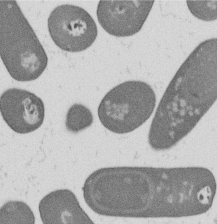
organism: B. subtilis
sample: Bacterial spore